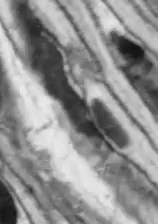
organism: Drosophila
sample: Optic lobe